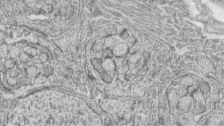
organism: Zebrafish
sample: synaptic ribbons in rod cells and cone cells